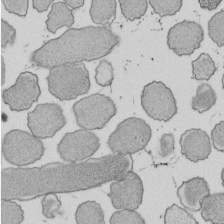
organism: E. coli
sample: Bacterial nucleoid